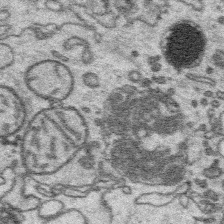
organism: Platynereis dumerilii